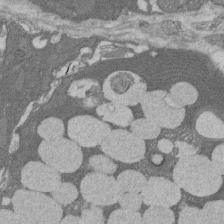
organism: Rat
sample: Salivary granule